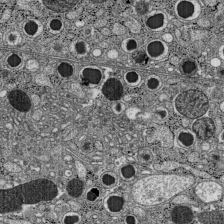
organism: C57BL Mouse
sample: Pancreatic islet